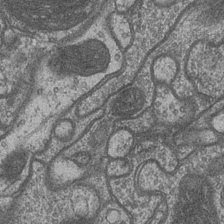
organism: Drosophila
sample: Optic medulla